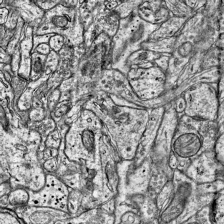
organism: Mouse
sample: Visual Cortex